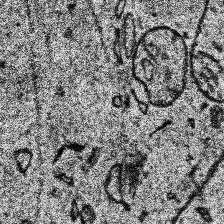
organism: Human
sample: Temporal Lobe